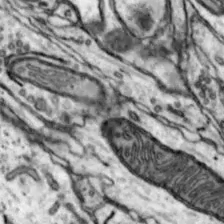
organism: Mouse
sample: Nucleus accumbens